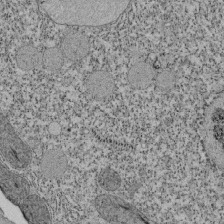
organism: Tetrahymena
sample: Cilia in tetrahymena